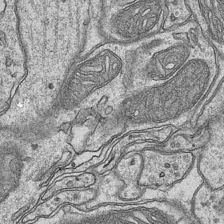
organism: Mouse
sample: CA1 Hippocampus